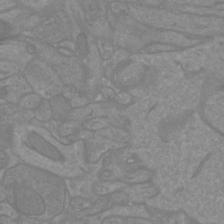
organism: Mouse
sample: Cortical neurons